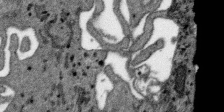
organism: Human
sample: Lung epithelial cells, uninfected (mock) control